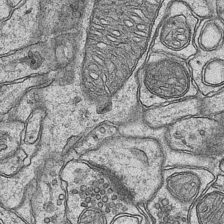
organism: Mouse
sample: CA1 Hippocampus